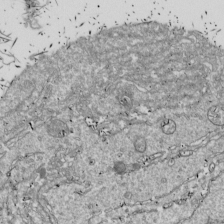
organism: Drosophila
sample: Cell division; meiosis; drosophila spermatocytes